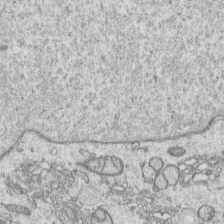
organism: Human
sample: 1205lu cells